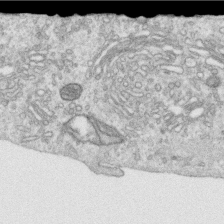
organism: Human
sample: Centriole in RPE cells